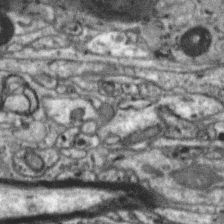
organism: Zebra finch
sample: Brain